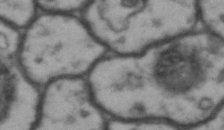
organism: Drosophila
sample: Brain